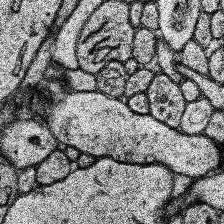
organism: Human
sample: Temporal Lobe